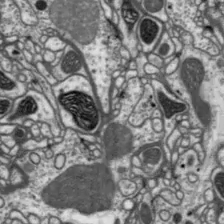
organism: Drosophila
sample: Protocerebral bridge